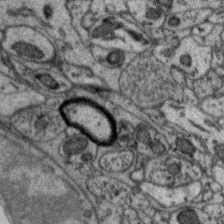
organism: Zebra finch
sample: Brain